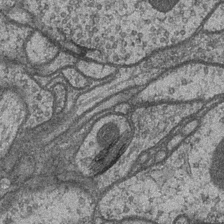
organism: Drosophila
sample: Optic medulla